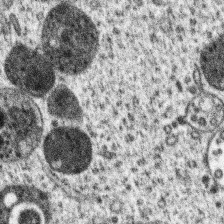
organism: Human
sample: HeLa cells